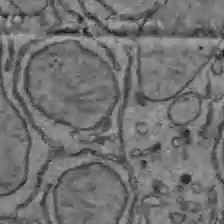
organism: C57BL Mouse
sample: Liver